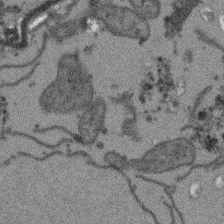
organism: Arabidopsis thaliana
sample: Root tip